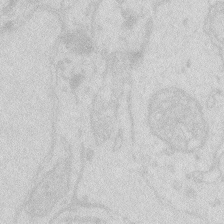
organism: Zebrafish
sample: Macrophage